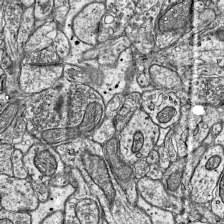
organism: Mouse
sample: Visual Cortex